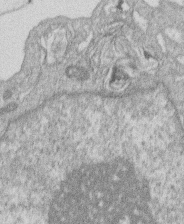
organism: Human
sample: Macrophage cells